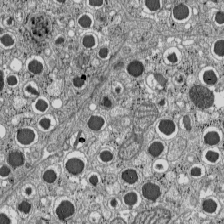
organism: C57BL Mouse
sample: Pancreatic islet